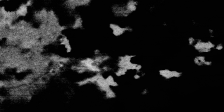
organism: Human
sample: Lung epithelial cells, uninfected (mock) control